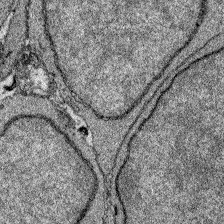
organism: Zebrafish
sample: Larval olfactory bulb